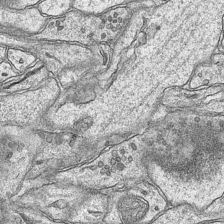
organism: Mouse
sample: CA1 Hippocampus